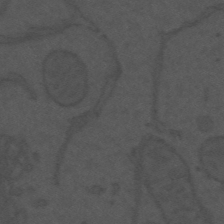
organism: Mouse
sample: Suprachiasmatic nucleus